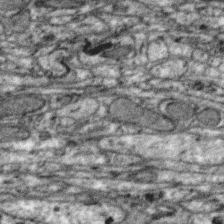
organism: Zebra finch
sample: Brain